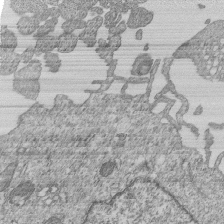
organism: Human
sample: MDA-MB-231 cells